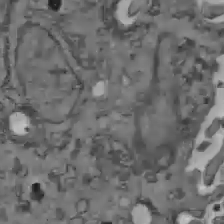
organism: C57BL Mouse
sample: Liver